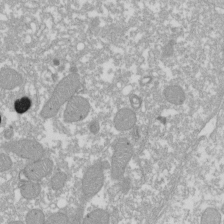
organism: Xenopus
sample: Cilia; centrioles in frog embryo cells